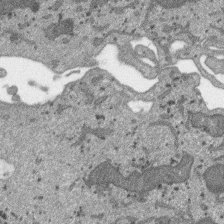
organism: Human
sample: Lung epithelial cells infected with SARS-CoV-2